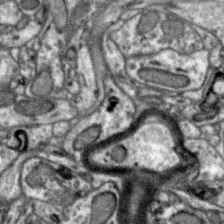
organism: Zebra finch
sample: Brain